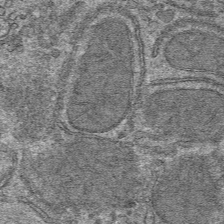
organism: Mouse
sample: Mouse hepatocytes